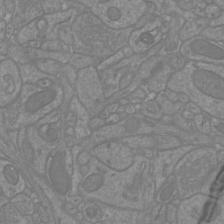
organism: Mouse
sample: Cortical neurons